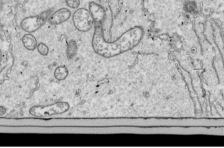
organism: Drosophila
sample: Cell division; meiosis; drosophila spermatocytes